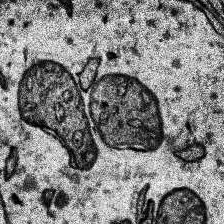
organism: Human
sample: Temporal Lobe